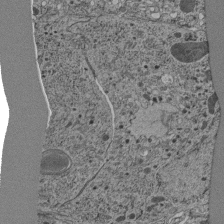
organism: C. elegans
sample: C. elegans pharynx